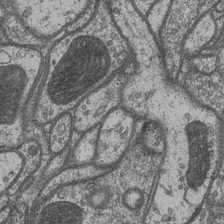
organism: Drosophila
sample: Optic medulla